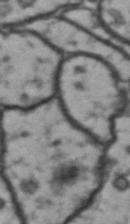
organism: Drosophila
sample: Brain